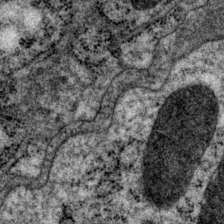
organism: P. pacificus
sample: Pharynx